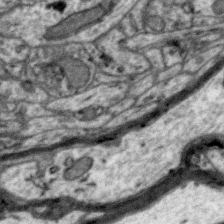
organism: Zebra finch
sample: Brain